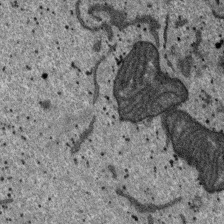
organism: Human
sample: Lung epithelial cells, uninfected (mock) control